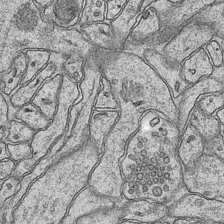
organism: Mouse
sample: CA1 Hippocampus